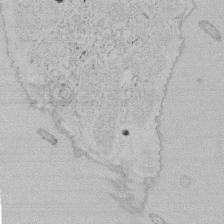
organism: Tetrahymena